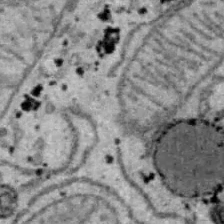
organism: Mouse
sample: Liver from an obese (ob/ob) mouse